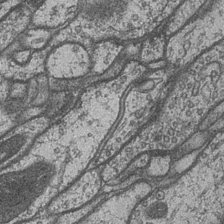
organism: Drosophila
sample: Optic medulla